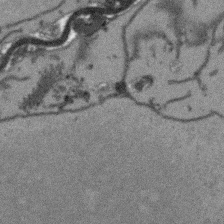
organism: Arabidopsis thaliana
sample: Root tip